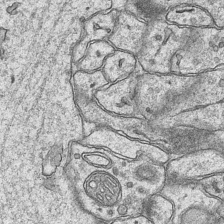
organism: Mouse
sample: CA1 Hippocampus